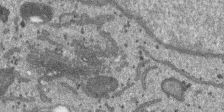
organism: Human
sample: Lung epithelial cells infected with SARS-CoV-2